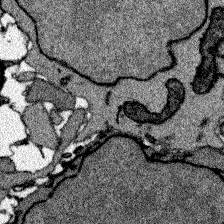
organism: Zebrafish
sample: Larval olfactory bulb